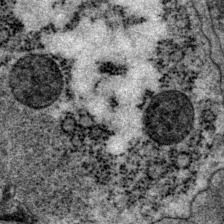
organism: P. pacificus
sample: Pharynx